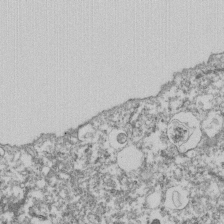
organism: Dictyostelium discoideum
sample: Dictyostelium multivesicular bodies